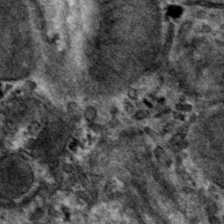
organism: Mouse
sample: Mouse hepatocytes